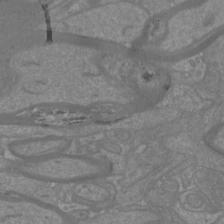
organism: Mouse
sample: Cortical neurons